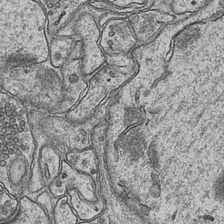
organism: Mouse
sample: CA1 Hippocampus